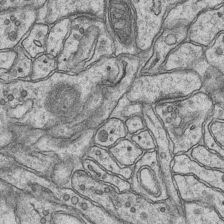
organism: Mouse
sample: CA1 Hippocampus